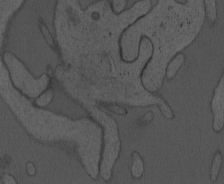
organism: Mouse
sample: OT-I killer T cells with ID8 ovarian cancer cells